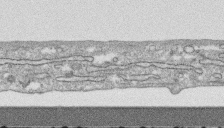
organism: Human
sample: CRL-1474